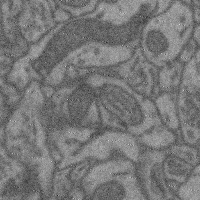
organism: Mouse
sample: Cerebral cortex